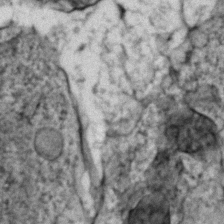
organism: Zebrafish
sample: Zebrafish embryo